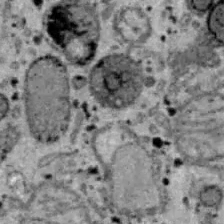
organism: Mouse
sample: Liver from an obese (ob/ob) mouse